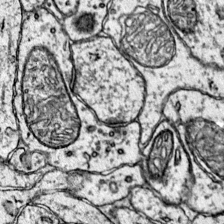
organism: Mouse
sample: Primary visual cortex